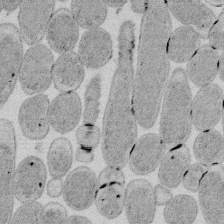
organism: E. coli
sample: Bacterial nucleoid